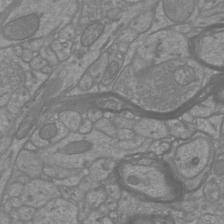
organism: Mouse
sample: Cortical neurons